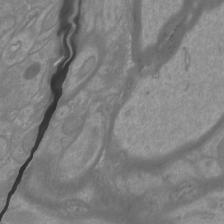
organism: Mouse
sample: Cortical neurons